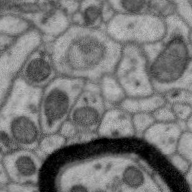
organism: Zebra finch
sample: Brain